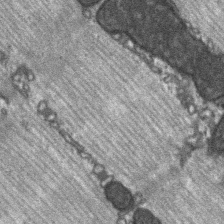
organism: C57BL Mouse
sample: Soleus